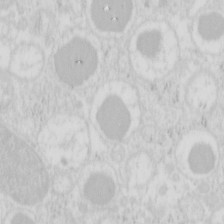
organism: Mouse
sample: Pancreas